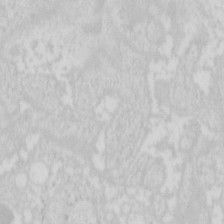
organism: Mouse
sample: Pancreas